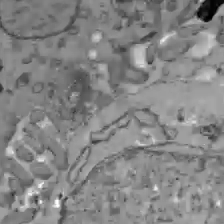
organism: C57BL Mouse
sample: Liver